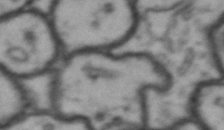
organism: Drosophila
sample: Brain